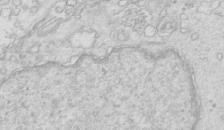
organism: Mouse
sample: Multiciliated cells